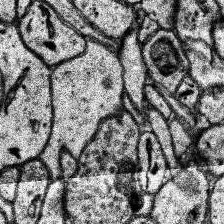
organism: Human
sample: Temporal Lobe